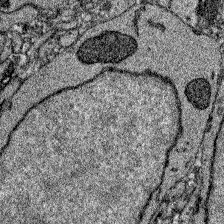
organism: Zebrafish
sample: Larval olfactory bulb